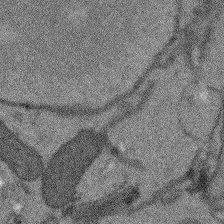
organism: Arabidopsis thaliana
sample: Root tip